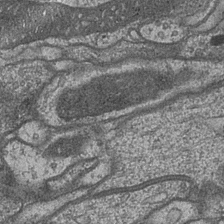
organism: Drosophila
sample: Optic medulla